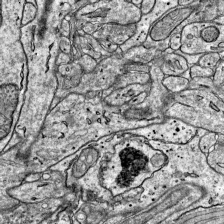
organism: Mouse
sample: Visual Cortex